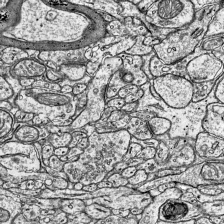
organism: Mouse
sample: Visual Cortex